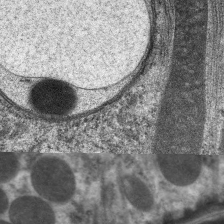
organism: C. elegans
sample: Pharynx